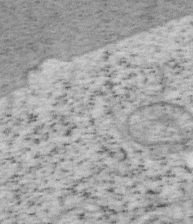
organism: Mouse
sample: OT-I killer T cells with ID8 ovarian cancer cells